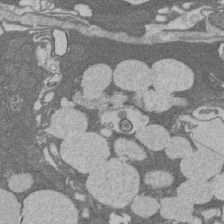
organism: Rat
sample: Salivary granule